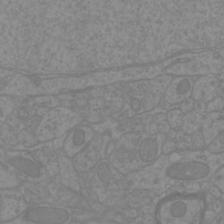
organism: Mouse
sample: Cortical neurons